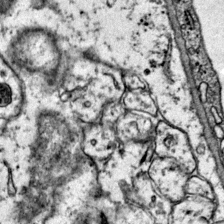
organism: Mouse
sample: Primary visual cortex